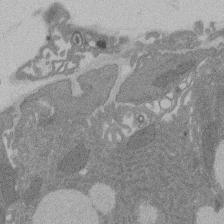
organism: Rat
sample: Salivary granule